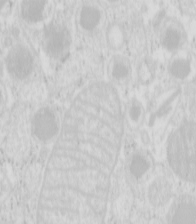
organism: Mouse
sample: Pancreas